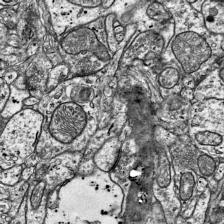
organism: Mouse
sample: Visual Cortex